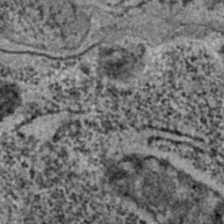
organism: C. elegans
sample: C. elegans embryo